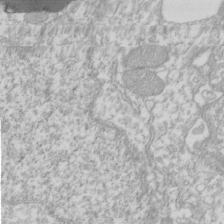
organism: Xenopus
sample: Cilia; centrioles in frog embryo cells